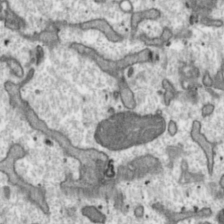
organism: Toxoplasma gondii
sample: Parasites in a vacuole inside a host cell